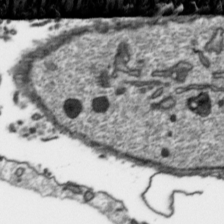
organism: Toxoplasma gondii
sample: Parasites in a vacuole inside a host cell